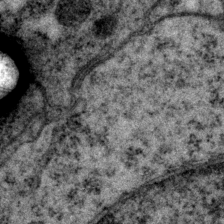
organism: P. pacificus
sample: Pharynx